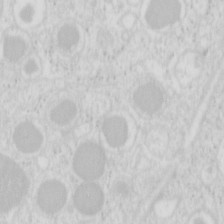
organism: Mouse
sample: Pancreas